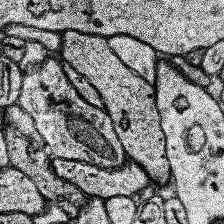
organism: Human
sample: Temporal Lobe